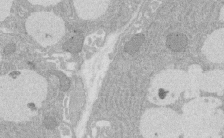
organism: Rat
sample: Salivary granule